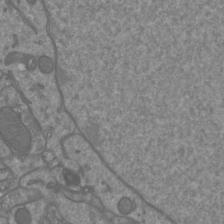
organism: Mouse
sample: Cortical neurons